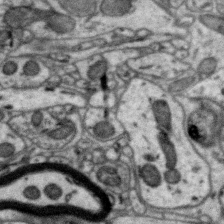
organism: Zebra finch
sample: Brain